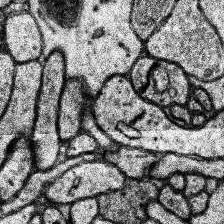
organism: Human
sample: Temporal Lobe